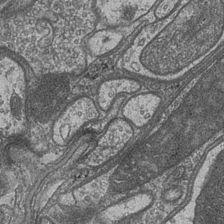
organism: Drosophila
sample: Optic medulla